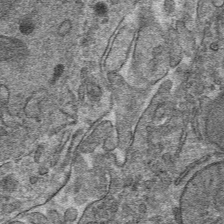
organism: Mouse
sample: Mouse hepatocytes